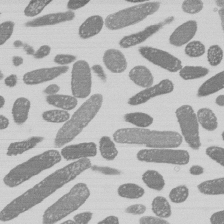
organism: E. coli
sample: Bacterial nucleoid